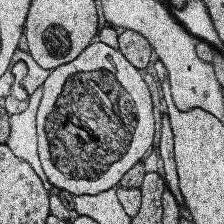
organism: Human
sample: Temporal Lobe